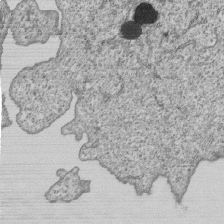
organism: Human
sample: MDA-MB-231 cells